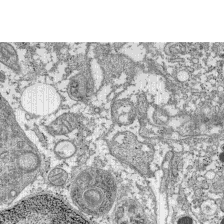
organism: C57BL Mouse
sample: Pancreatic islet